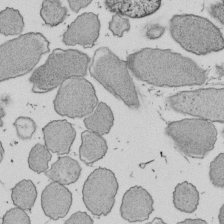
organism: E. coli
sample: Bacterial nucleoid